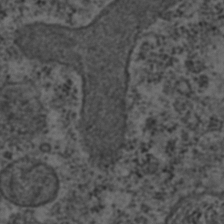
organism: C. elegans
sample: C. elegans embryo